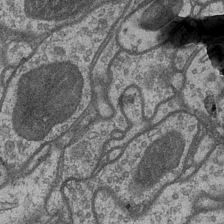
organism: Drosophila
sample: Optic medulla